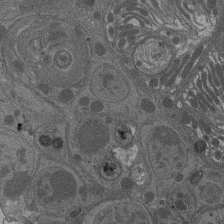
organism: Drosophila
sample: Antenna